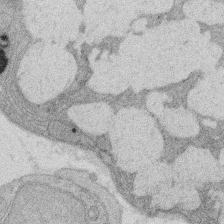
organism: Rat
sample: Salivary granule